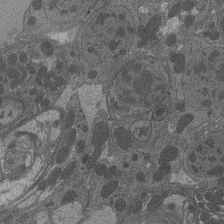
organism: Drosophila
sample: Antenna